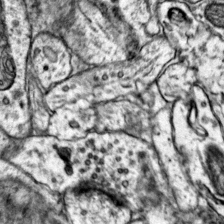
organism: Mouse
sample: Primary visual cortex